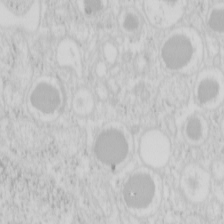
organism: Mouse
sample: Pancreas